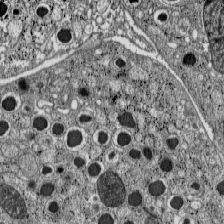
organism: C57BL Mouse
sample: Pancreatic islet